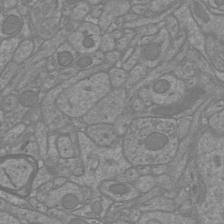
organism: Mouse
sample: Cortical neurons